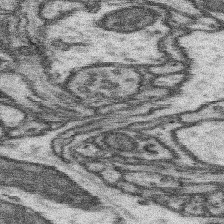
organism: Mouse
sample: Somatosensory cortex neuropil